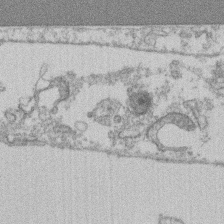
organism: Mouse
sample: T cell stromal cell synapse